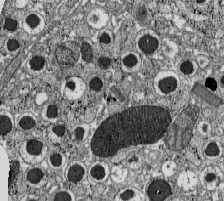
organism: C57BL Mouse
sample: Pancreatic islet